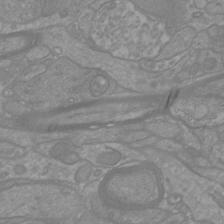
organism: Mouse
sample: Cortical neurons